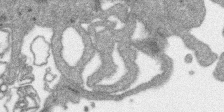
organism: Human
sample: Lung epithelial cells infected with SARS-CoV-2